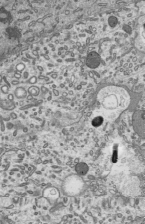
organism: Mouse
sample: Mouse epididymis efferent ductule cilia